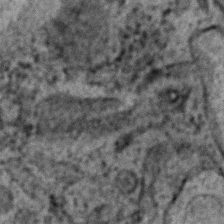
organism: C. elegans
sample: C. elegans embryo